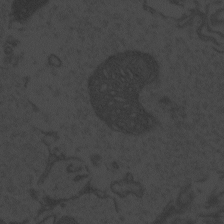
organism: Zebrafish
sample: Macrophage infected with Toxoplasma gondii